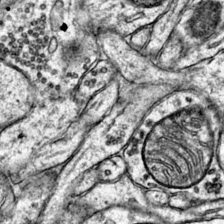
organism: Mouse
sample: Primary visual cortex